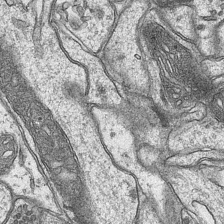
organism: Mouse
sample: CA1 Hippocampus